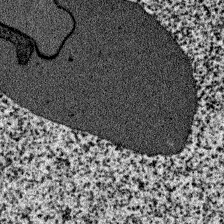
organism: Zebrafish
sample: Larval olfactory bulb